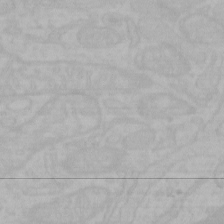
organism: Mouse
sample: Choroid plexus